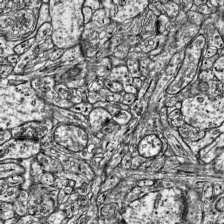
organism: Mouse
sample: Visual Cortex